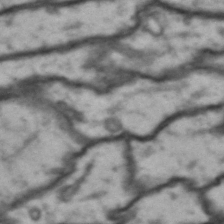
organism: Drosophila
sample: Brain